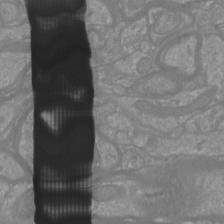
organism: Mouse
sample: Cortical neurons